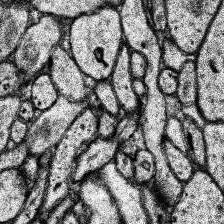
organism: Human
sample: Temporal Lobe